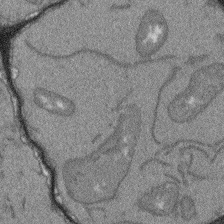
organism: Arabidopsis thaliana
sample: Root tip